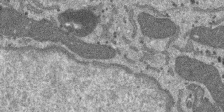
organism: Human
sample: Lung epithelial cells infected with SARS-CoV-2